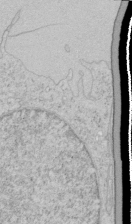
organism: Human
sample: Mitochondria in HCT116 cells